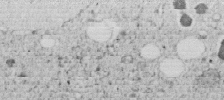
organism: C. elegans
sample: C. elegans embryo early stage